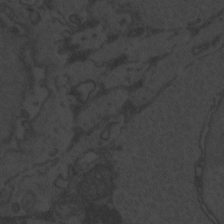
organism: Zebrafish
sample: Macrophage infected with Toxoplasma gondii